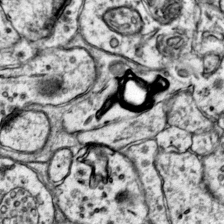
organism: Mouse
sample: Primary visual cortex